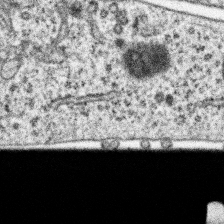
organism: Human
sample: HeLa cells